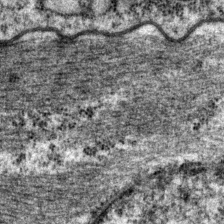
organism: P. pacificus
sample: Pharynx